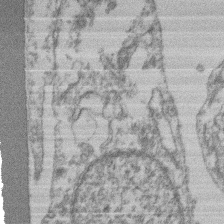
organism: Mouse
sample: T cell stromal cell synapse